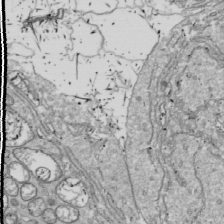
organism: Drosophila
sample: Cell division; meiosis; drosophila spermatocytes